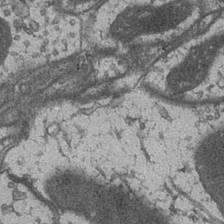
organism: Drosophila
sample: Optic medulla